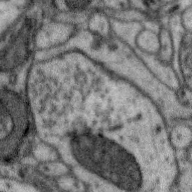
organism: Zebra finch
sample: Brain